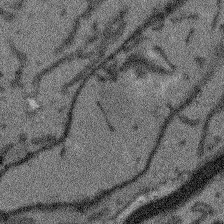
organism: Arabidopsis thaliana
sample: Root tip